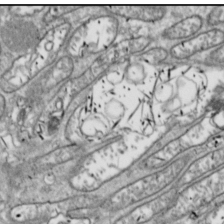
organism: Drosophila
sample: Cell division; meiosis; drosophila spermatocytes